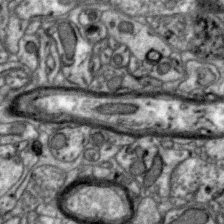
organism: Zebra finch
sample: Brain